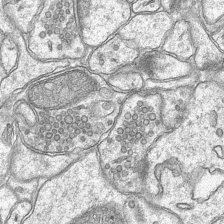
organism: Mouse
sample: CA1 Hippocampus